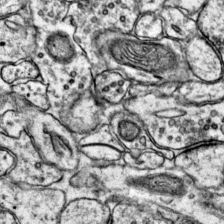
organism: Mouse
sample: Primary visual cortex